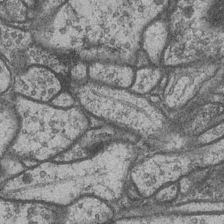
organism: Drosophila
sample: Optic medulla